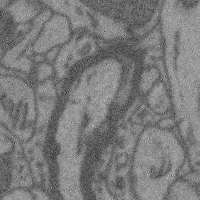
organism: Mouse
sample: Cerebral cortex